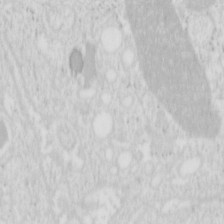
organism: Mouse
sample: Pancreas